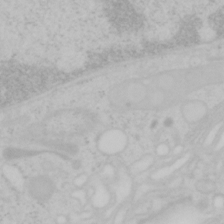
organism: Mouse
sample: OT-I killer T cells with ID8 ovarian cancer cells